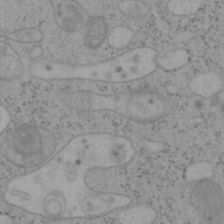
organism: Mouse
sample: OT-I killer T cells with ID8 ovarian cancer cells